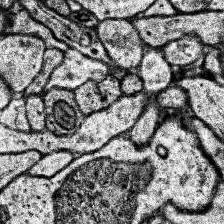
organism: Human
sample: Temporal Lobe